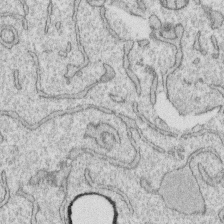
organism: Human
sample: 1205lu cells